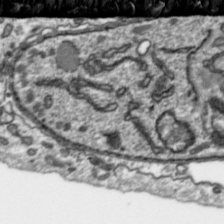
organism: Toxoplasma gondii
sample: Parasites in a vacuole inside a host cell